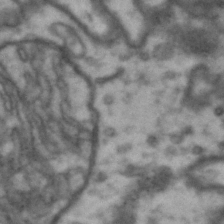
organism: Drosophila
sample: Brain